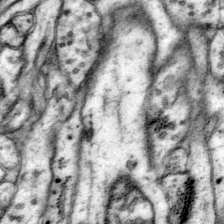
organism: Mouse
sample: Primary visual cortex